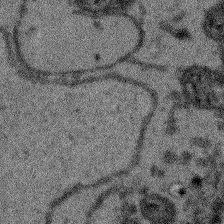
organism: Arabidopsis thaliana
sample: Root tip